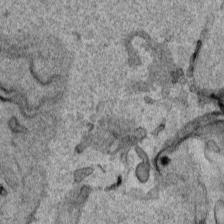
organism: Human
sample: Mitochondria in HCT116 cells